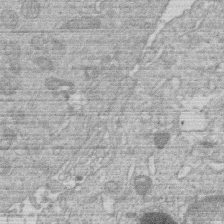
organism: Human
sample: Macrophage cells